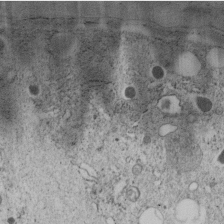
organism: C. elegans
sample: C. elegans embryo early stage